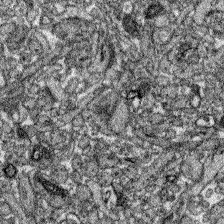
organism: Zebrafish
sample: Larval olfactory bulb